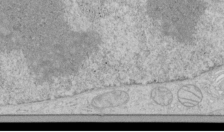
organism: Human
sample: Mitochondria in HCT116 cells